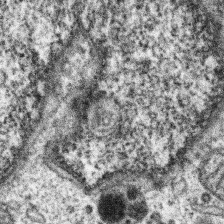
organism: Human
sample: HeLa cells